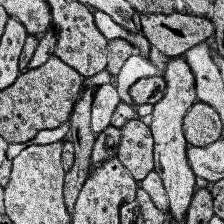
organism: Human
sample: Temporal Lobe